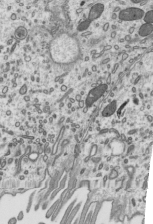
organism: Mouse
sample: Mouse epididymis efferent ductule cilia